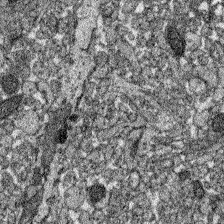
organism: Zebrafish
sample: Larval olfactory bulb